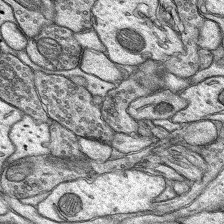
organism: Rat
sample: Hippocampus